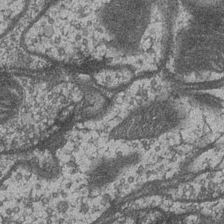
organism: Drosophila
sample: Optic medulla